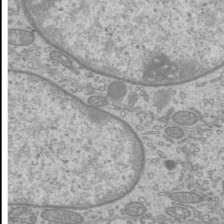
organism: Mouse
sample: Cilia; mouse epididymis